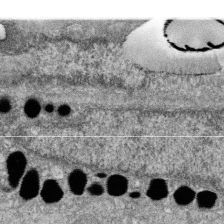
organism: Zebrafish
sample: Cilia; retinal pigment epithelium